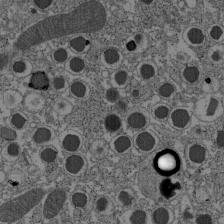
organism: C57BL Mouse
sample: Pancreatic islet